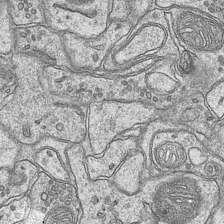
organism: Mouse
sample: CA1 Hippocampus